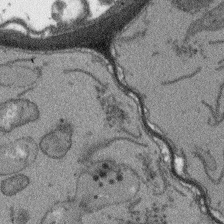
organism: Arabidopsis thaliana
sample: Root tip